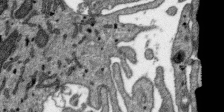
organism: Human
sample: Lung epithelial cells, uninfected (mock) control